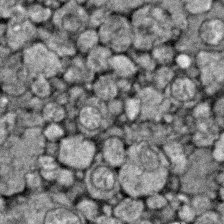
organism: Zebrafish